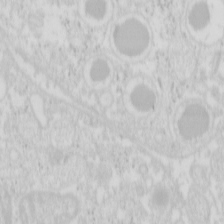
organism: Mouse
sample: Pancreas